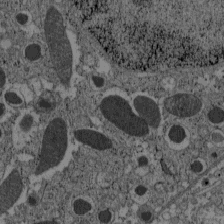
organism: C57BL Mouse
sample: Pancreatic islet